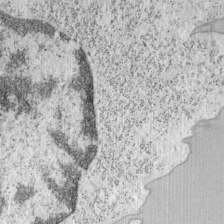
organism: Mouse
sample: OT-I killer T cells with ID8 ovarian cancer cells